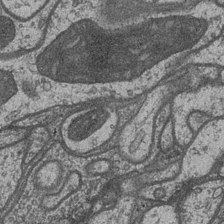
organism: Drosophila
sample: Optic medulla